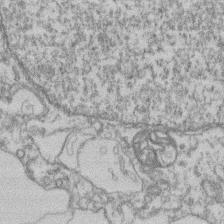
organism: Mouse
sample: T cell stromal cell synapse